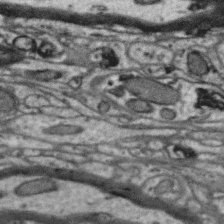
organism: Zebra finch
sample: Brain